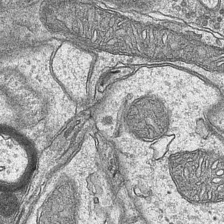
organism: Mouse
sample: CA1 Hippocampus